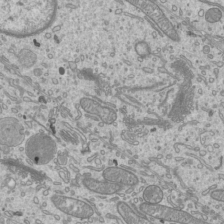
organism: Mouse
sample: Cilia; mouse epididymis